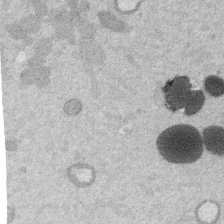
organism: Mouse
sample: Dividing mouse embryo 1 cell stage